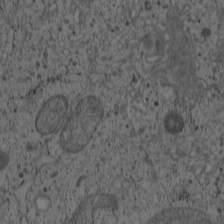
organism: African green monkey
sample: COS-7 cells